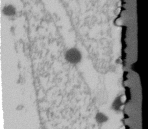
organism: Human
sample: U2-OS cells